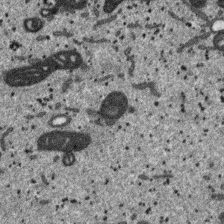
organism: Human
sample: Lung epithelial cells infected with SARS-CoV-2